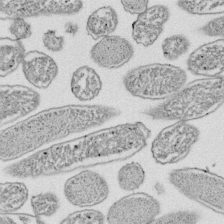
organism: E. coli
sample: Bacterial nucleoid